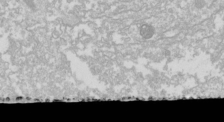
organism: Drosophila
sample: Cell division; meiosis; drosophila spermatocytes